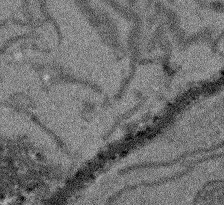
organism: Arabidopsis thaliana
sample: Root tip